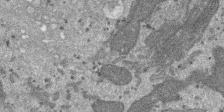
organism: Human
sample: Lung epithelial cells infected with SARS-CoV-2